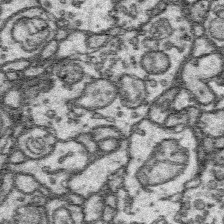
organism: Platynereis dumerilii